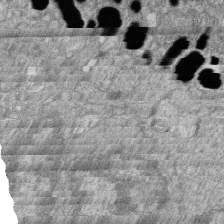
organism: Zebrafish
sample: Cilia; retinal pigment epithelium